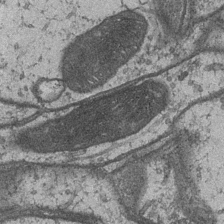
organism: Drosophila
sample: Optic medulla